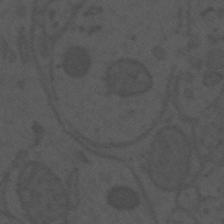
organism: Mouse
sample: Suprachiasmatic nucleus